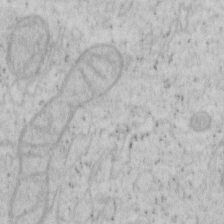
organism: Human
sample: HeLa cells